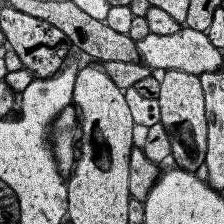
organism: Human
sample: Temporal Lobe